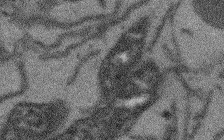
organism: Arabidopsis thaliana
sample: Root tip